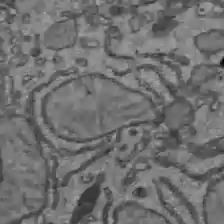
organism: C57BL Mouse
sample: Liver